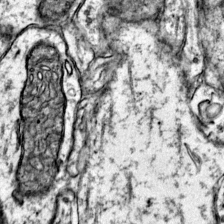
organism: Mouse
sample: Primary visual cortex